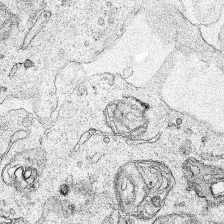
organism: Human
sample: Mitochondria in HCT116 cells